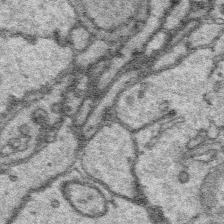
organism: Platynereis dumerilii